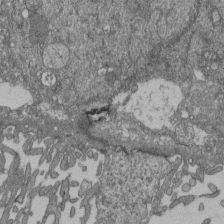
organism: Human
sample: Retinal organoid Rod and Cone cells